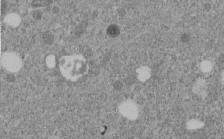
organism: C. elegans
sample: C. elegans embryo early stage